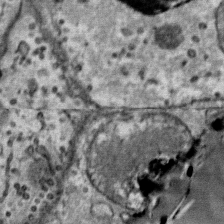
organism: Mouse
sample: Mouse Salivary gland